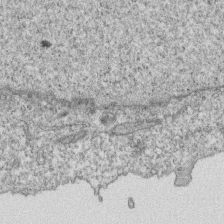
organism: Human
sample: HeLa cell HIV synapse